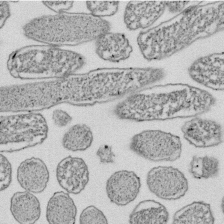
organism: E. coli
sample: Bacterial nucleoid